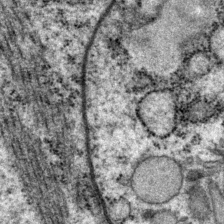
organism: P. pacificus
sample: Pharynx